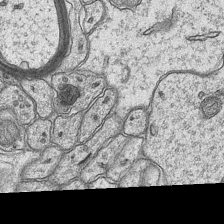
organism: Mouse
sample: CA1 Hippocampus